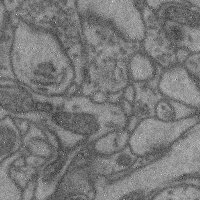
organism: Mouse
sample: Cerebral cortex